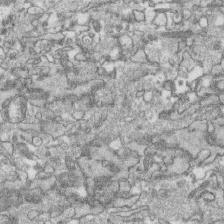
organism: Human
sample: CRL-1474